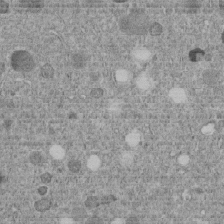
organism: C. elegans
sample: C. elegans embryo early stage